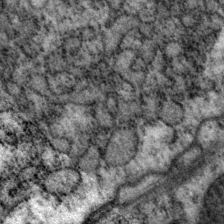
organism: P. pacificus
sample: Pharynx